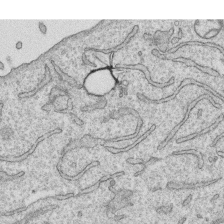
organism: Human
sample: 1205lu cells